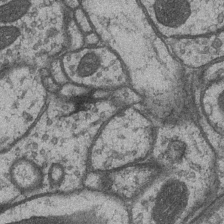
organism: Drosophila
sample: Optic medulla